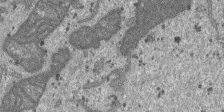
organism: Human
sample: Lung epithelial cells infected with SARS-CoV-2